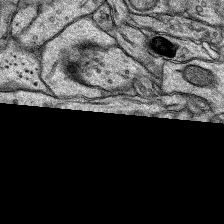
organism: Rat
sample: Hippocampus